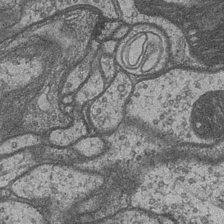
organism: Drosophila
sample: Optic medulla